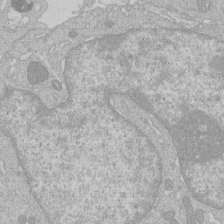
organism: Human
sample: Macrophage cells